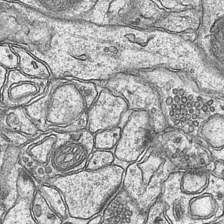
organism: Mouse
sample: CA1 Hippocampus